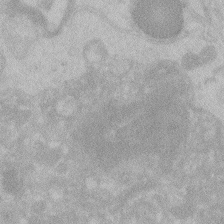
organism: Zebrafish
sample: Macrophage infected with Toxoplasma gondii